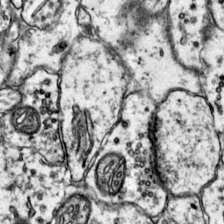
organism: Mouse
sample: Primary visual cortex